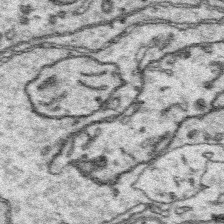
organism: Platynereis dumerilii